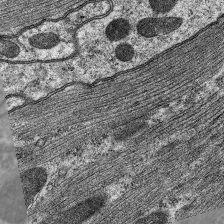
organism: C. elegans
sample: Pharynx